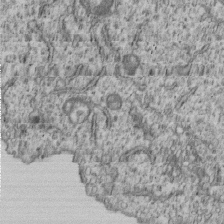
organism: Human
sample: MDA-MB-231 cells